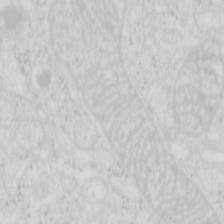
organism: Mouse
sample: Pancreas